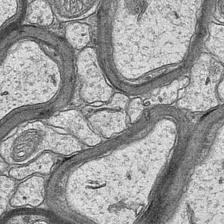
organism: Mouse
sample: CA1 Hippocampus